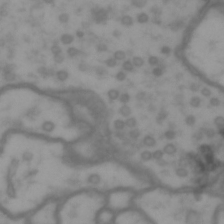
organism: Drosophila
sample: Brain